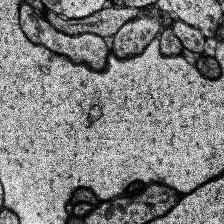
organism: Human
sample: Temporal Lobe